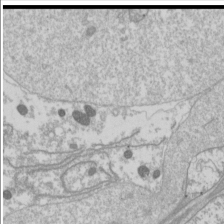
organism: Drosophila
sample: Cell division; meiosis; drosophila spermatocytes